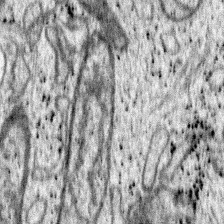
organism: Human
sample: HeLa cells